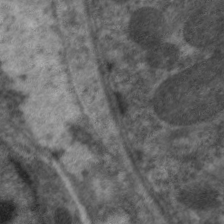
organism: C. elegans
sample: Pharynx